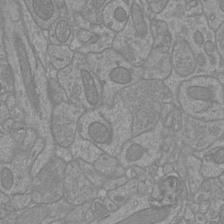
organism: Mouse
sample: Cortical neurons